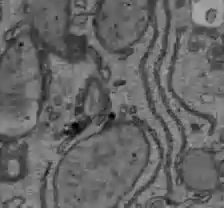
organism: C57BL Mouse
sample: Liver